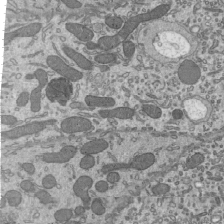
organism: Mouse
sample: Mouse epididymis efferent ductule cilia